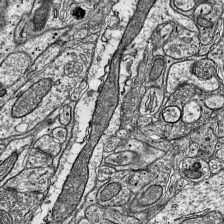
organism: Mouse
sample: Visual Cortex